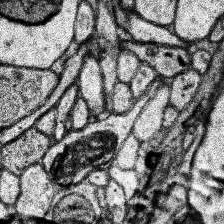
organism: Human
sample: Temporal Lobe